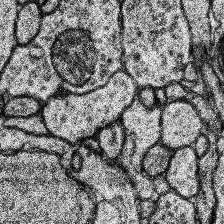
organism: Human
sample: Temporal Lobe